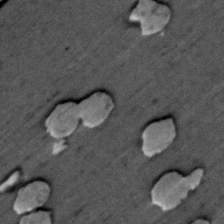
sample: Trachea